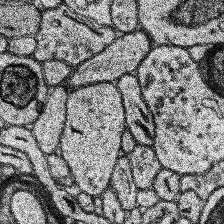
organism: Human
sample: Temporal Lobe